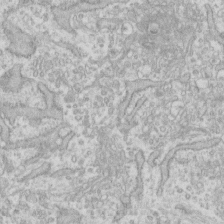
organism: Human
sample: Fibroblast cells